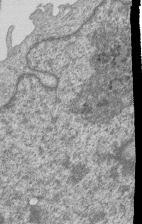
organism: Human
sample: MDA-MB-231 cells